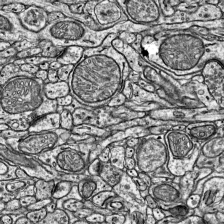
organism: Mouse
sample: Visual Cortex